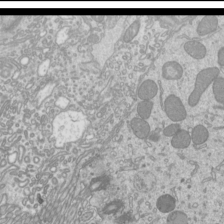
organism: Mouse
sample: Cilia; mouse epididymis